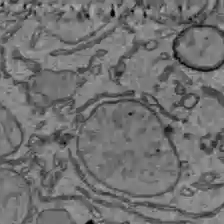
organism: C57BL Mouse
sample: Liver